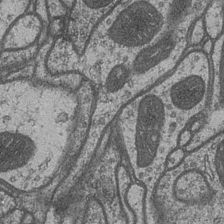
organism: Drosophila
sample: Optic medulla